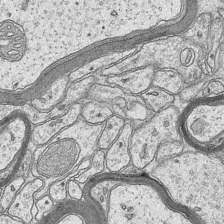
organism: Mouse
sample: CA1 Hippocampus